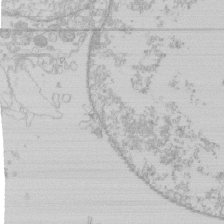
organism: Human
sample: Macrophage cells